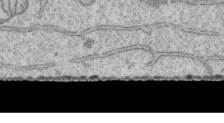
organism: Human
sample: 1205lu cells